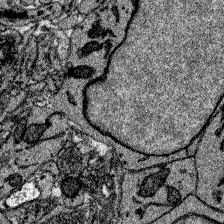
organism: Zebrafish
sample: Larval olfactory bulb